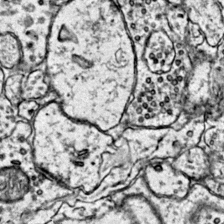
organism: Mouse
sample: Primary visual cortex